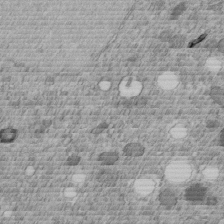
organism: C. elegans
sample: C. elegans embryo early stage